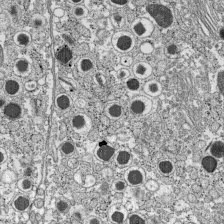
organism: C57BL Mouse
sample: Pancreatic islet